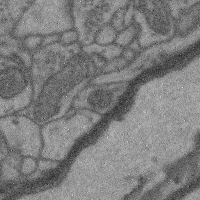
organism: Mouse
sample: Cerebral cortex